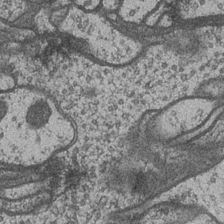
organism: Drosophila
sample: Optic medulla